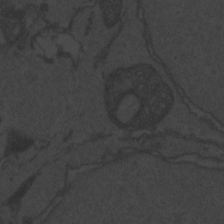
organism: Zebrafish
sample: Macrophage infected with Toxoplasma gondii